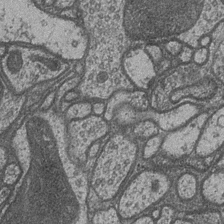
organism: Drosophila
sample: Optic medulla